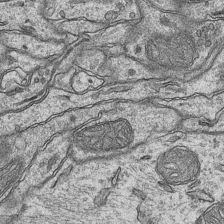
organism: Mouse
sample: CA1 Hippocampus